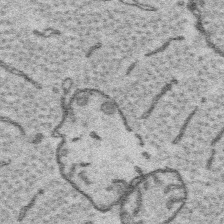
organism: Platynereis dumerilii